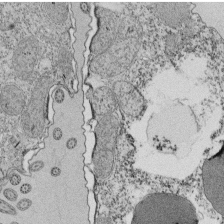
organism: Tetrahymena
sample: Cilia in tetrahymena